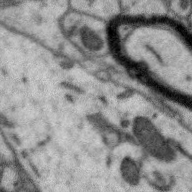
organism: Zebra finch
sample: Brain